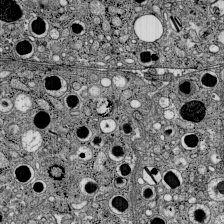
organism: C57BL Mouse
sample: Pancreatic islet